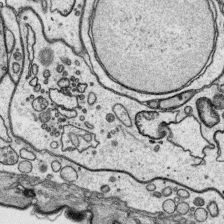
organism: Platynereis dumerilii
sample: Parapodia